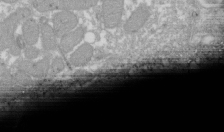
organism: Xenopus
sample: Cilia; centrioles in frog embryo cells